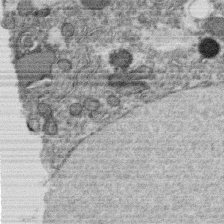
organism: C. elegans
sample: C. elegans oocyte; sperm cells